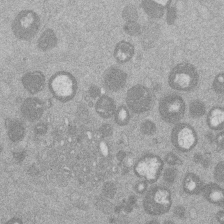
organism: Mouse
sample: Dividing mouse embryo 1 cell stage